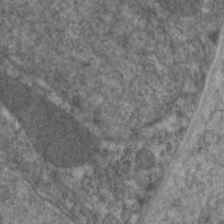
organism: C. elegans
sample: Pharynx